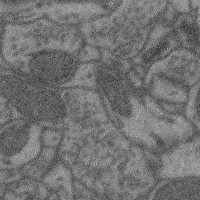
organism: Mouse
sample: Cerebral cortex